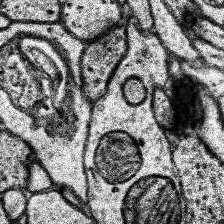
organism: Human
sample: Temporal Lobe